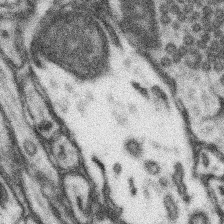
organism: Mouse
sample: Somatosensory cortex neuropil